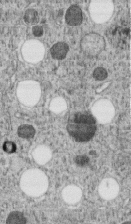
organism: C. elegans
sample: C. elegans embryo early stage